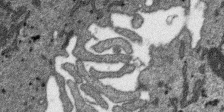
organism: Human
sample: Lung epithelial cells infected with SARS-CoV-2